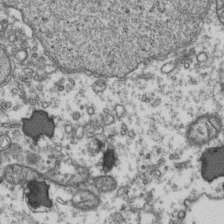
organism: Human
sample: Activated Jurkat CD4+ T cells